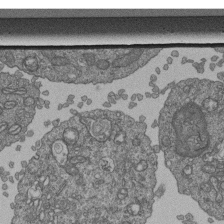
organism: Human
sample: Retinal organoid Rod and Cone cells